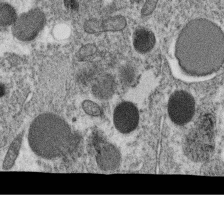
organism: C. elegans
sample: C. elegans oocyte; sperm cells